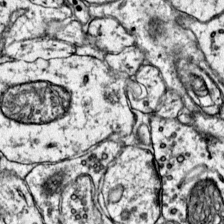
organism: Mouse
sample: Primary visual cortex